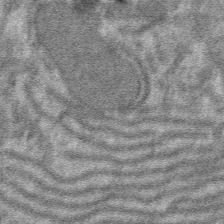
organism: Mouse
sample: Mouse hepatocytes